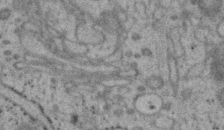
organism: Human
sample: HeLa cells